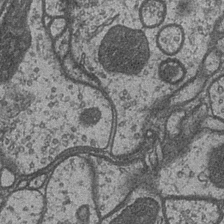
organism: Drosophila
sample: Optic medulla